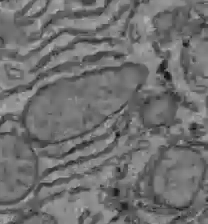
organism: C57BL Mouse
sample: Liver